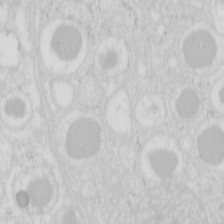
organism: Mouse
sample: Pancreas